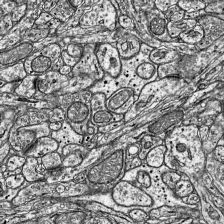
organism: Mouse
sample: Visual Cortex